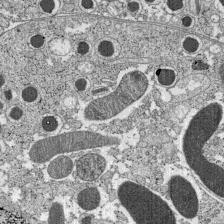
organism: C57BL Mouse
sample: Pancreatic islet